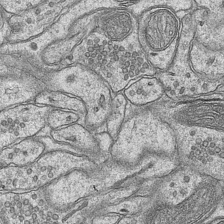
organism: Mouse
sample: CA1 Hippocampus